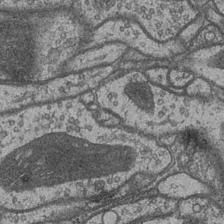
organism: Drosophila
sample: Optic medulla